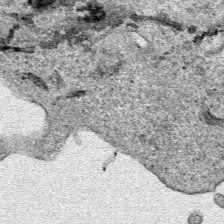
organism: Human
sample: Mitochondria in HCT116 cells